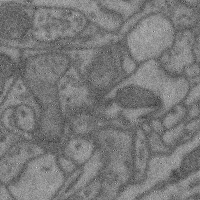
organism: Mouse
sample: Cerebral cortex